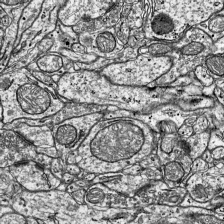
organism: Mouse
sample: Visual Cortex